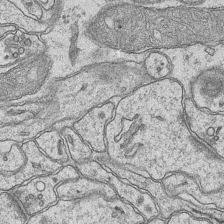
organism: Mouse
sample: CA1 Hippocampus